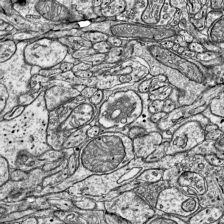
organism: Mouse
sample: Visual Cortex